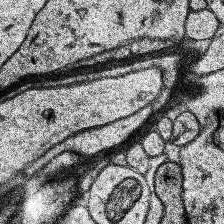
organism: Human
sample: Temporal Lobe